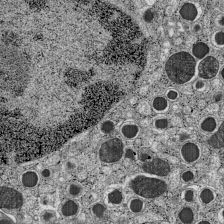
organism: C57BL Mouse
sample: Pancreatic islet